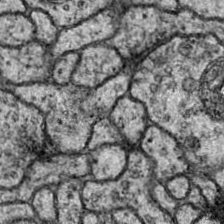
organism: Drosophila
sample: Ventral Nerve Cord